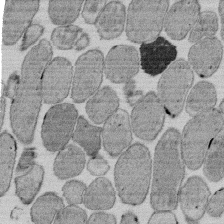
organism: E. coli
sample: Bacterial nucleoid